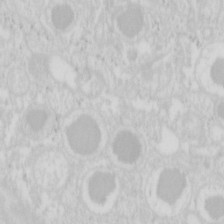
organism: Mouse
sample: Pancreas